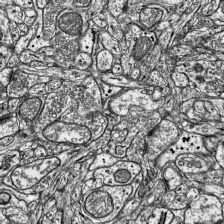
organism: Mouse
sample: Visual Cortex